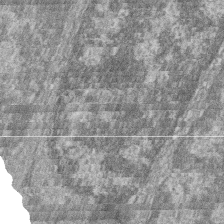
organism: Zebrafish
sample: Cilia; retinal pigment epithelium